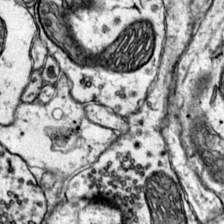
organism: Mouse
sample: Primary visual cortex